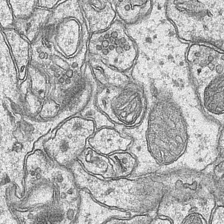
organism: Mouse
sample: CA1 Hippocampus